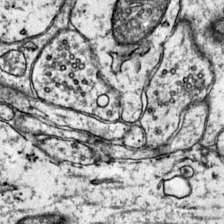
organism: Mouse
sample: Primary visual cortex